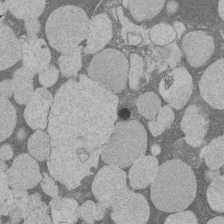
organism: Rat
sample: Salivary granule